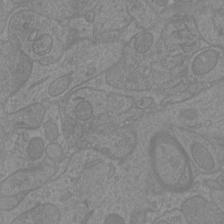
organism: Mouse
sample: Cortical neurons